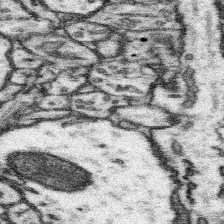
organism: Mouse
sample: Somatosensory cortex neuropil